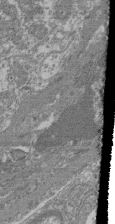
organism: Mouse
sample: Glomerulus